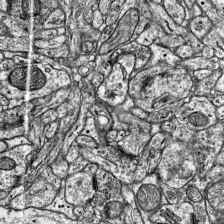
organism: Mouse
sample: Visual Cortex